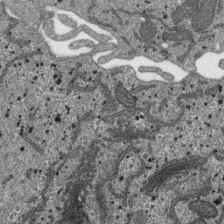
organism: Human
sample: Lung epithelial cells infected with SARS-CoV-2